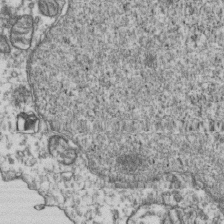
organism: Human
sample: Activated Jurkat CD4+ T cells